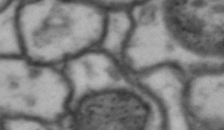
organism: Drosophila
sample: Brain